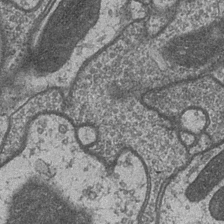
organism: Drosophila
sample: Optic medulla